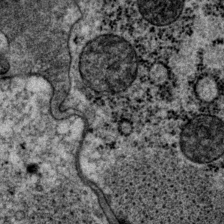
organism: P. pacificus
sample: Pharynx